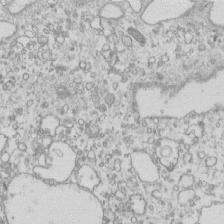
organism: Mouse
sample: Macrophages